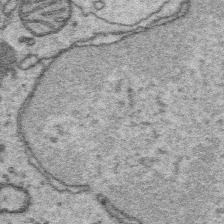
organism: Platynereis dumerilii